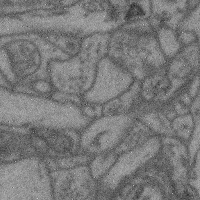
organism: Mouse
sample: Cerebral cortex